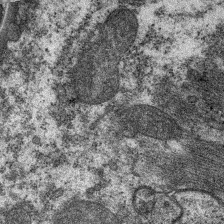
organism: C. elegans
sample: Pharynx